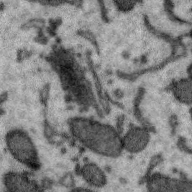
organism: Zebra finch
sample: Brain